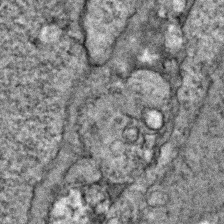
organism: Zebrafish